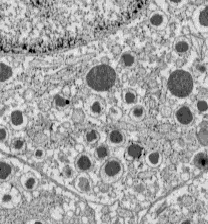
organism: C57BL Mouse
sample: Pancreatic islet